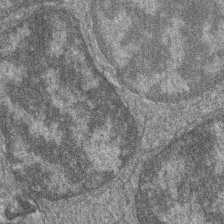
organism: Zebrafish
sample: Cilia; retinal pigment epithelium